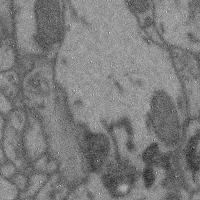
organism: Mouse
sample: Cerebral cortex